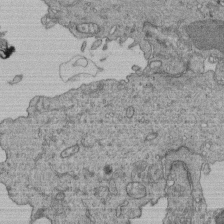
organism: Human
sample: Retinal organoid Rod and Cone cells